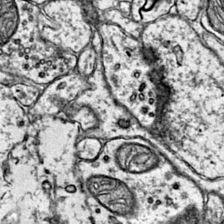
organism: Mouse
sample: Primary visual cortex